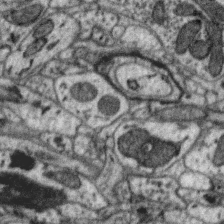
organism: Zebra finch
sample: Brain